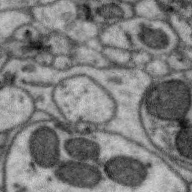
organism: Zebra finch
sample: Brain